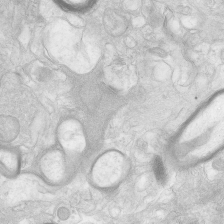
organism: Human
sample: Neocortex